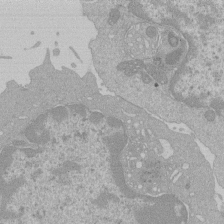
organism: Mouse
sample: Activated Pmel transgenic CD8+ T Cells